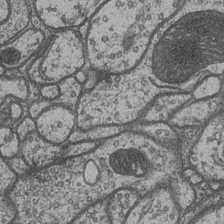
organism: Drosophila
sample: Optic medulla